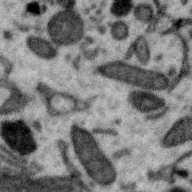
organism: Zebra finch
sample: Brain